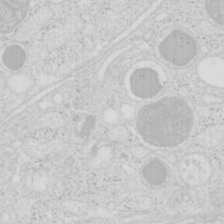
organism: Mouse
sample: Pancreas